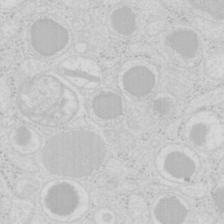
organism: Mouse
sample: Pancreas